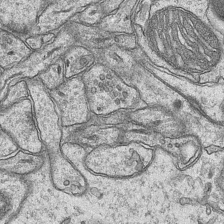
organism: Mouse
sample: CA1 Hippocampus